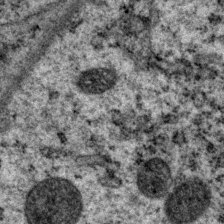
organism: P. pacificus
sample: Pharynx